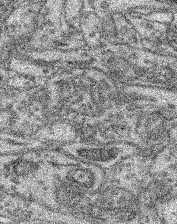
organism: Mouse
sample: Retina